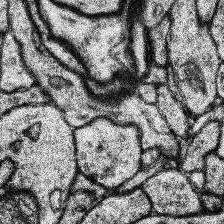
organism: Human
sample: Temporal Lobe